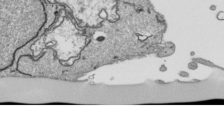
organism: Human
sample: Mitochondria in HCT116 cells